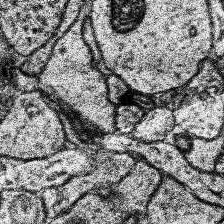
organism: Human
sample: Temporal Lobe